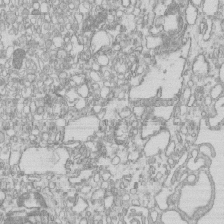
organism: Mouse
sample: Macrophages